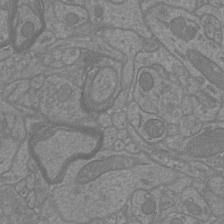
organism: Mouse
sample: Cortical neurons